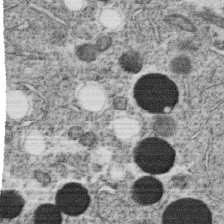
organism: C. elegans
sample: C. elegans oocyte; sperm cells